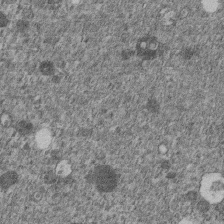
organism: C. elegans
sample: C. elegans embryo early stage